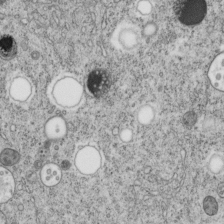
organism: C. elegans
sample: C. elegans embryo early stage